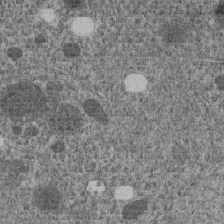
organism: C. elegans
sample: C. elegans embryo early stage